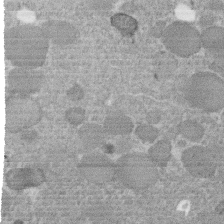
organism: C. elegans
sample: C. elegans embryo early stage